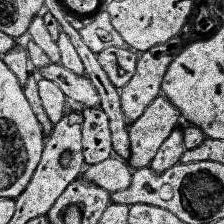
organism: Human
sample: Temporal Lobe